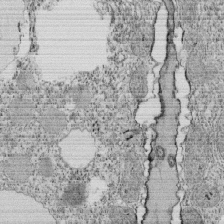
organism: Tetrahymena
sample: Cilia in tetrahymena